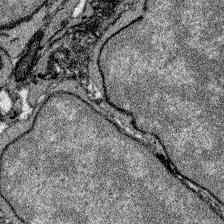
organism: Zebrafish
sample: Larval olfactory bulb